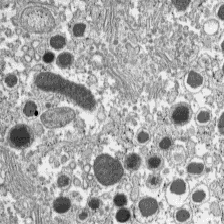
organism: C57BL Mouse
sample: Pancreatic islet